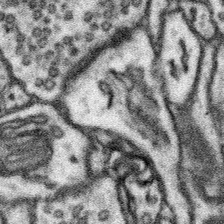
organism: Mouse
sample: Somatosensory cortex neuropil